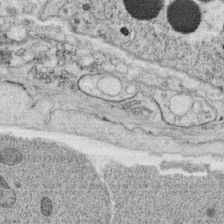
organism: C. elegans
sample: C. elegans oocyte; sperm cells